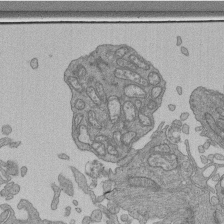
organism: Human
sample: Retinal organoid Rod and Cone cells